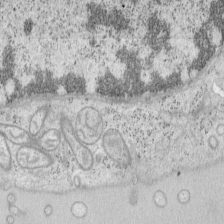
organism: Mouse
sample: OT-I killer T cells with ID8 ovarian cancer cells